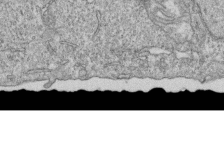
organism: Human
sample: HeLa cell HIV synapse